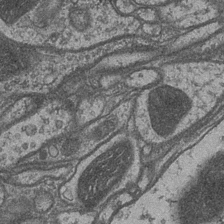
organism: Drosophila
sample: Optic medulla